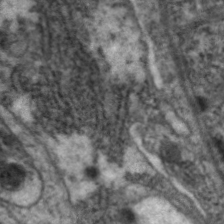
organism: C. elegans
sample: Pharynx